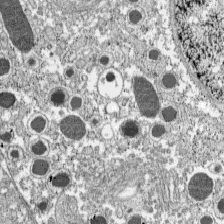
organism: C57BL Mouse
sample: Pancreatic islet